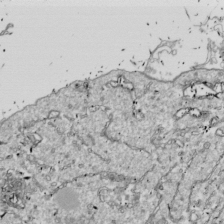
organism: Drosophila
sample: Cell division; meiosis; drosophila spermatocytes